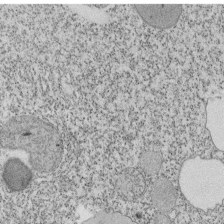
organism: Tetrahymena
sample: Cilia in tetrahymena